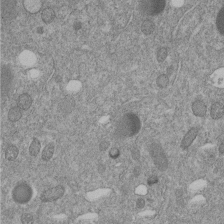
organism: C. elegans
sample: C. elegans embryo early stage